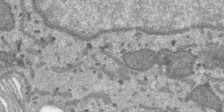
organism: Human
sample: Lung epithelial cells infected with SARS-CoV-2